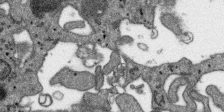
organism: Human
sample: Lung epithelial cells, uninfected (mock) control